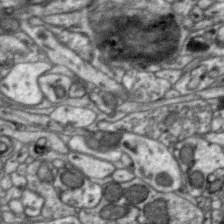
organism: Zebra finch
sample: Brain